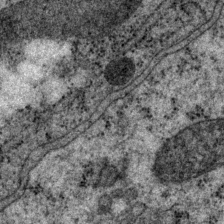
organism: P. pacificus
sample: Pharynx